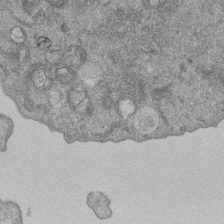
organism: Human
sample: MDA-MB-231 cells